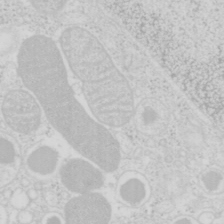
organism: Mouse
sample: Pancreas